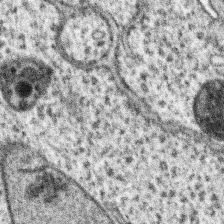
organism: Human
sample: HeLa cells